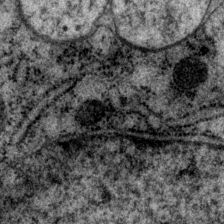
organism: P. pacificus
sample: Pharynx